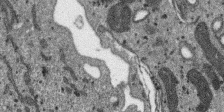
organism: Human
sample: Lung epithelial cells infected with SARS-CoV-2